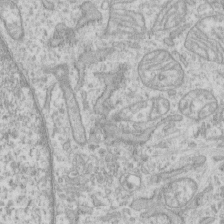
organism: Human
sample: CRL-1474